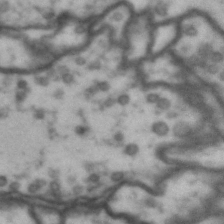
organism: Drosophila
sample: Brain